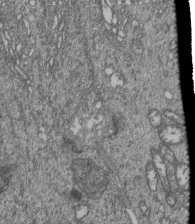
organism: Human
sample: Retinal organoid Rod and Cone cells